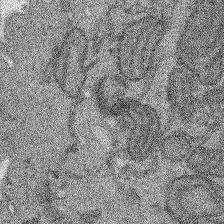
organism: Human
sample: HeLa cells